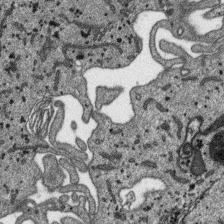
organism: Human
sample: Lung epithelial cells infected with SARS-CoV-2